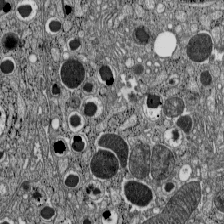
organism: C57BL Mouse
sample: Pancreatic islet